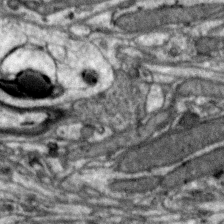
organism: Zebra finch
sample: Brain